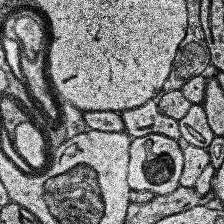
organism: Human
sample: Temporal Lobe